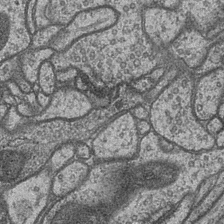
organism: Drosophila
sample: Optic medulla